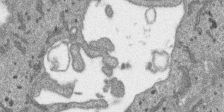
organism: Human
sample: Lung epithelial cells infected with SARS-CoV-2